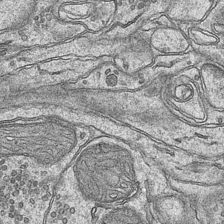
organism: Mouse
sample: CA1 Hippocampus